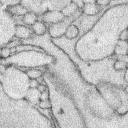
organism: Rabbit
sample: Retina